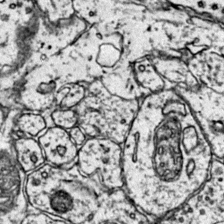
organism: Mouse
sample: Primary visual cortex